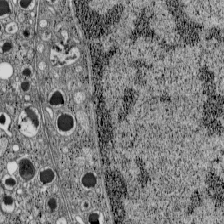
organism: C57BL Mouse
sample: Pancreatic islet